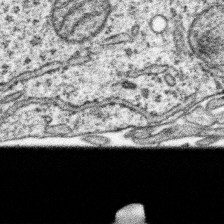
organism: Human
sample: HeLa cells